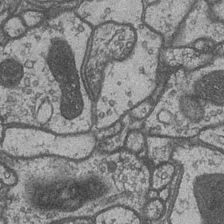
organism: Drosophila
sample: Optic medulla